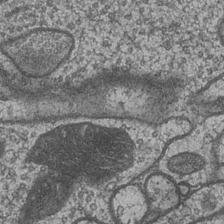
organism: Drosophila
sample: Optic medulla